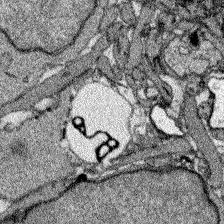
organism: Zebrafish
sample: Larval olfactory bulb